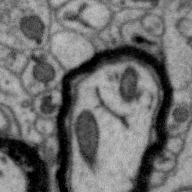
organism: Zebra finch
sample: Brain